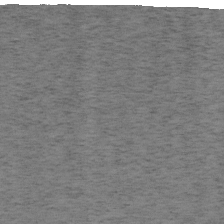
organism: Mouse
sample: OT-I killer T cells with ID8 ovarian cancer cells